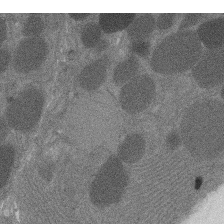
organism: Rat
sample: Salivary granule